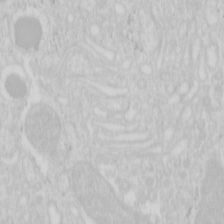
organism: Mouse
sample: Pancreas